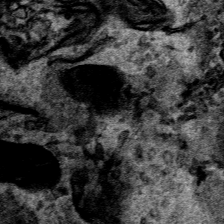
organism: Human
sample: Mitochondria in HCT116 cells